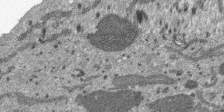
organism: Human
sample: Lung epithelial cells infected with SARS-CoV-2